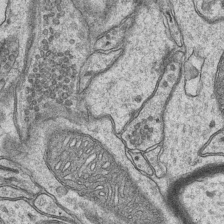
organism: Mouse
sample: CA1 Hippocampus